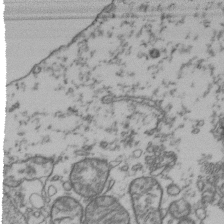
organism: Human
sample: Activated Jurkat CD4+ T cells